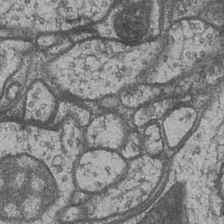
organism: Drosophila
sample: Optic medulla